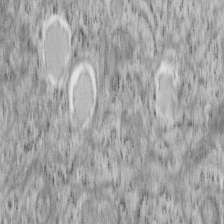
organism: Human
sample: HeLa cells